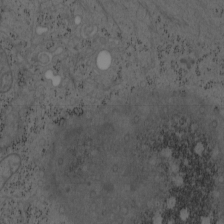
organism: Mouse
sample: OT-I killer T cells with ID8 ovarian cancer cells